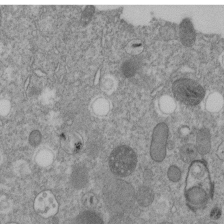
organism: C. elegans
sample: C. elegans embryo early stage